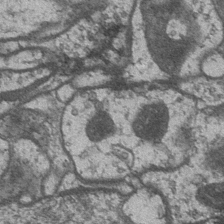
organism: Drosophila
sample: Optic medulla